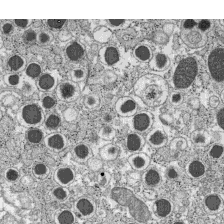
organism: C57BL Mouse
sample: Pancreatic islet